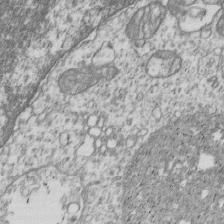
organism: Human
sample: MDA-MB-231 cells